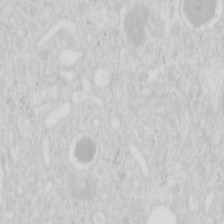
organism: Mouse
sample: Pancreas